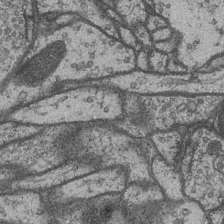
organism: Drosophila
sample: Optic medulla